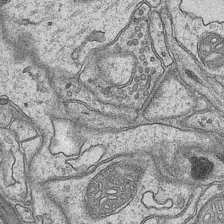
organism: Mouse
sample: CA1 Hippocampus